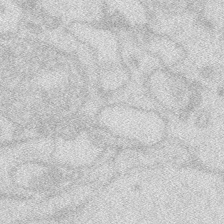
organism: Zebrafish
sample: Macrophage